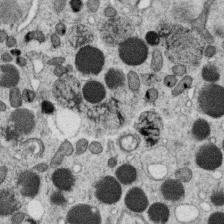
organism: C. elegans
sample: C. elegans oocyte; sperm cells